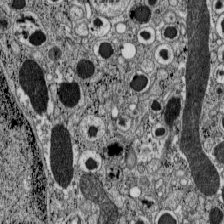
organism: C57BL Mouse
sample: Pancreatic islet